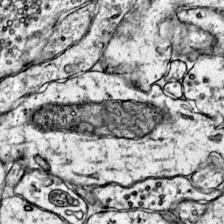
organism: Mouse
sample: Primary visual cortex